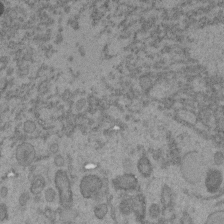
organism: C. elegans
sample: C. elegans embryo early stage